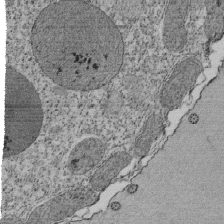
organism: Tetrahymena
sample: Cilia in tetrahymena